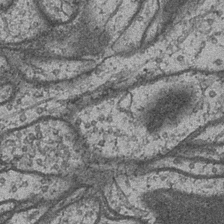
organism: Drosophila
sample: Optic medulla